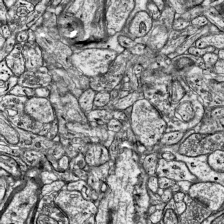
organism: Mouse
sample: Visual Cortex